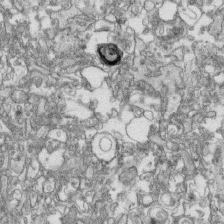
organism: Human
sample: CRL-1474